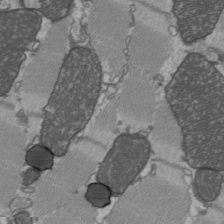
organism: C57BL Mouse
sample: Heart